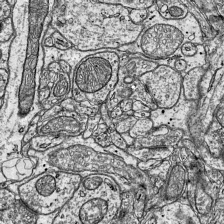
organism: Mouse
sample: Visual Cortex